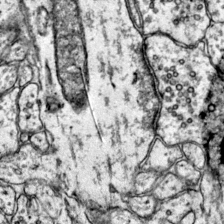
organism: Mouse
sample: Primary visual cortex